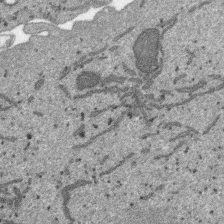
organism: Human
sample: Lung epithelial cells infected with SARS-CoV-2